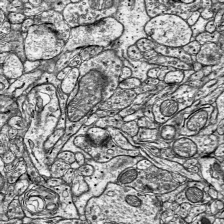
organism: Mouse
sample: Visual Cortex